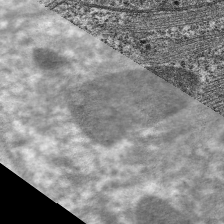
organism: C. elegans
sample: Pharynx